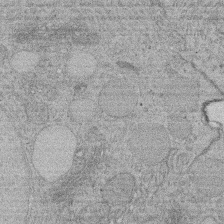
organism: Rat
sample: Salivary granule